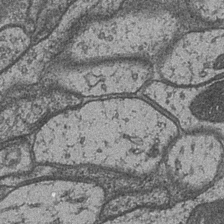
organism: Drosophila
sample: Optic medulla